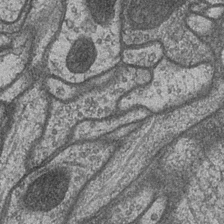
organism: Drosophila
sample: Optic medulla